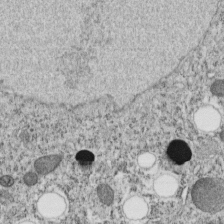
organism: C. elegans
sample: C. elegans embryo early stage